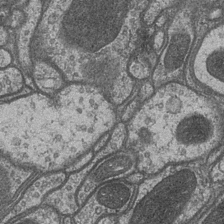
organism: Drosophila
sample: Optic medulla